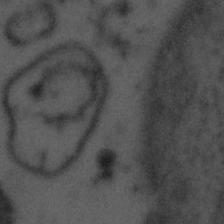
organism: Tuwongella immobilis